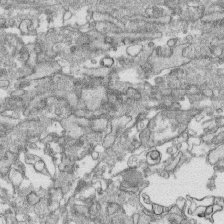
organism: Human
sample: CRL-1474